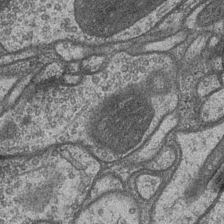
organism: Drosophila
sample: Optic medulla